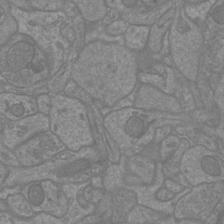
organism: Mouse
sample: Cortical neurons